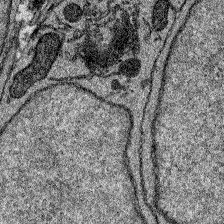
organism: Zebrafish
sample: Larval olfactory bulb